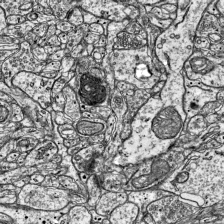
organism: Mouse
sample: Visual Cortex